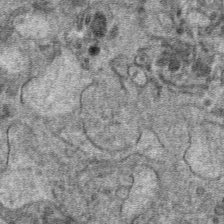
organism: Mouse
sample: Mouse hepatocytes